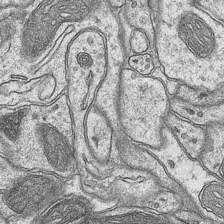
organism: Mouse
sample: CA1 Hippocampus